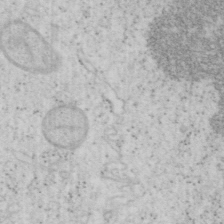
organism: Human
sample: HeLa cells